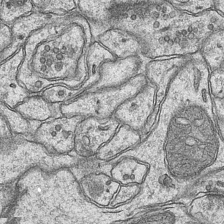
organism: Mouse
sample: CA1 Hippocampus